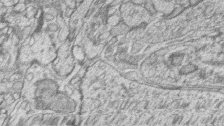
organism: Zebrafish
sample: synaptic ribbons in rod cells and cone cells